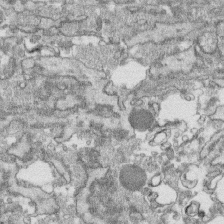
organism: Human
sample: CRL-1474